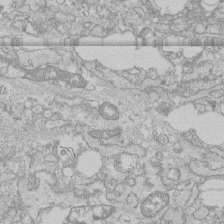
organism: Human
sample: CRL-1474